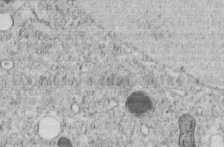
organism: C. elegans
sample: C. elegans embryo early stage